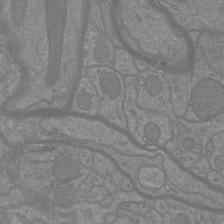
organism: Mouse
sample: Cortical neurons